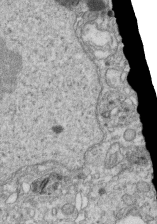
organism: Human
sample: HeLa cell HIV synapse